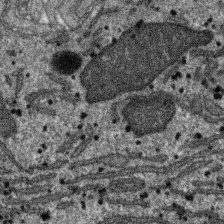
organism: Human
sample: Lung epithelial cells infected with SARS-CoV-2